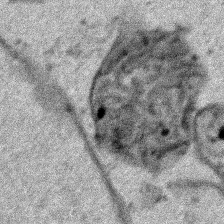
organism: Human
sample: Mitochondria in HCT116 cells